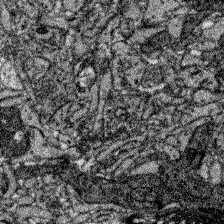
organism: Zebrafish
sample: Larval olfactory bulb